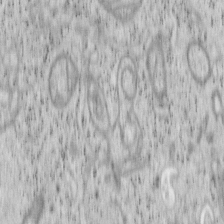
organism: Human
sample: HeLa cells